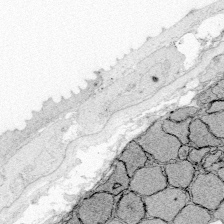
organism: Zebrafish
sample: Whole-Brain